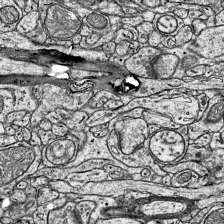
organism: Mouse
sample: Visual Cortex